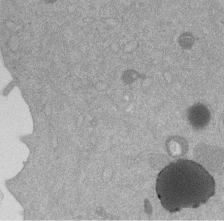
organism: Mouse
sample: Dividing mouse embryo 1 cell stage